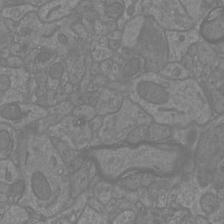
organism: Mouse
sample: Cortical neurons